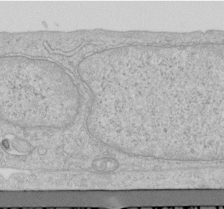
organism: Human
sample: Centriole in RPE cells